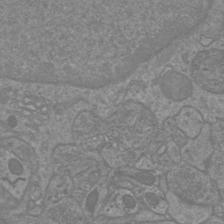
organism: Mouse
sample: Cortical neurons